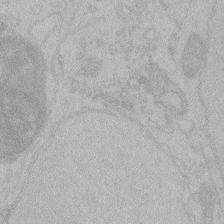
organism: Zebrafish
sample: Macrophage infected with Toxoplasma gondii